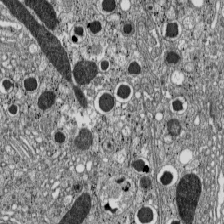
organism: C57BL Mouse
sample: Pancreatic islet